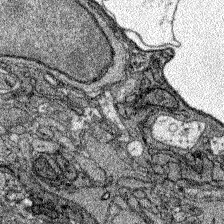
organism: Zebrafish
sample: Larval olfactory bulb